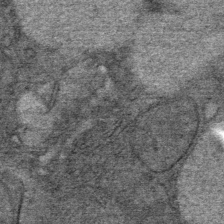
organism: Mouse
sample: Mouse Salivary gland